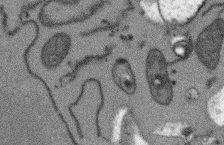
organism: Arabidopsis thaliana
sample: Root tip